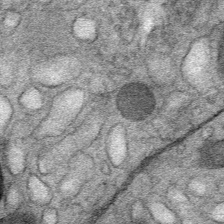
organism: Mouse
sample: Mouse Salivary gland